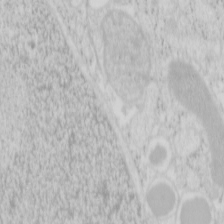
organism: Mouse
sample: Pancreas